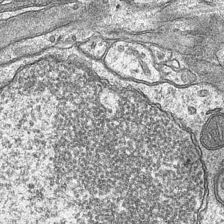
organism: Mouse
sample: CA1 Hippocampus